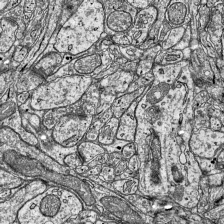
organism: Mouse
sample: Visual Cortex